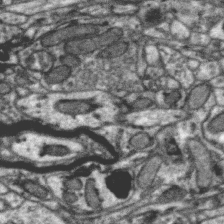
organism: Zebra finch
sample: Brain